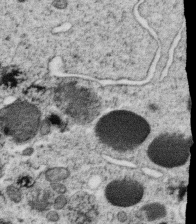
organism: C. elegans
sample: C. elegans oocyte; sperm cells